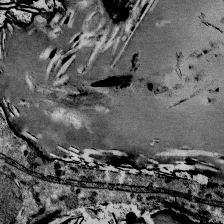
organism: Mouse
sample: Mouse Salivary gland